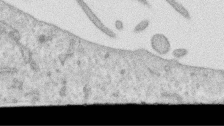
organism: Human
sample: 1205lu cells